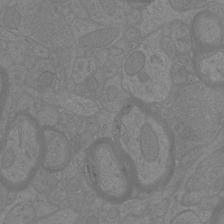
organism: Mouse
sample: Cortical neurons